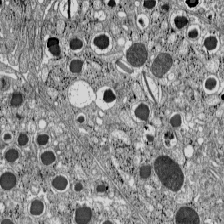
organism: C57BL Mouse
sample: Pancreatic islet